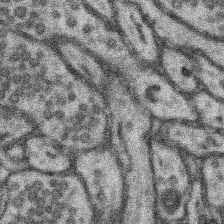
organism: Mouse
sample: Somatosensory cortex neuropil